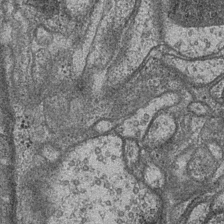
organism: Drosophila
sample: Optic medulla